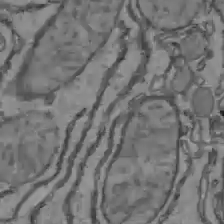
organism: C57BL Mouse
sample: Liver